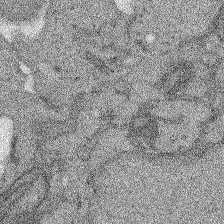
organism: Human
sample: HeLa cells